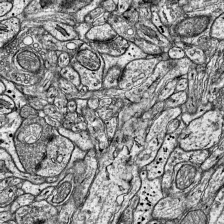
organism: Mouse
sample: Visual Cortex